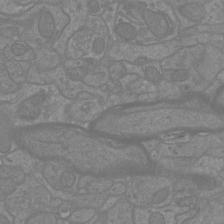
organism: Mouse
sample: Cortical neurons